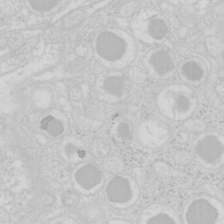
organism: Mouse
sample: Pancreas